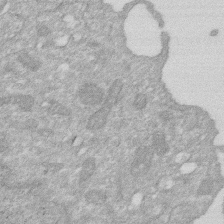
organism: Human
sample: HIV infected U937 cells